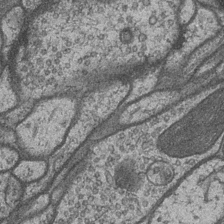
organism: Drosophila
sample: Optic medulla